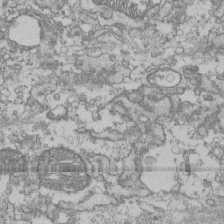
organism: Human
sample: Fibroblast cells